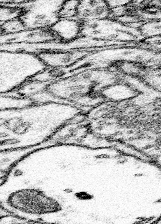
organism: Mouse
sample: Somatosensory cortex neuropil